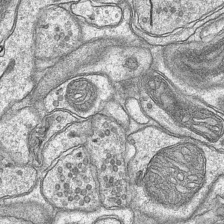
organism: Mouse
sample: CA1 Hippocampus